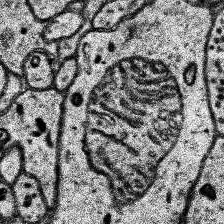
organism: Human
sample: Temporal Lobe